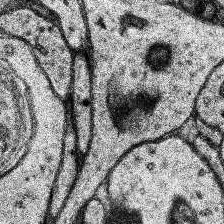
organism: Human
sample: Temporal Lobe